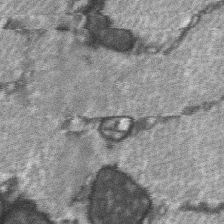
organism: C57BL Mouse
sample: Soleus